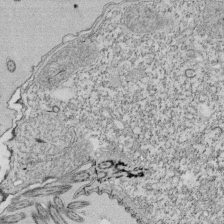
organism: Tetrahymena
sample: Cilia in tetrahymena